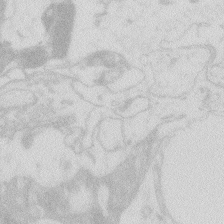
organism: Zebrafish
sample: Macrophage